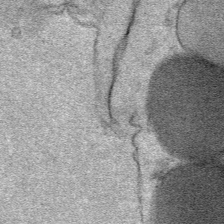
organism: Mouse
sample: Mouse Salivary gland